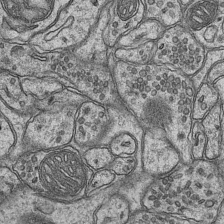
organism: Mouse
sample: CA1 Hippocampus